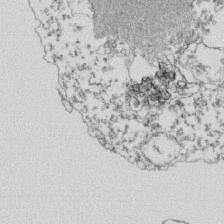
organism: Human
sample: HeLa cell HIV synapse